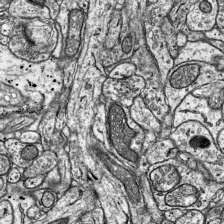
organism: Mouse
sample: Visual Cortex